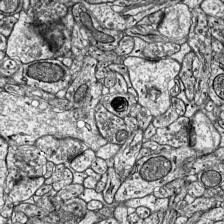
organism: Mouse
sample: Visual Cortex